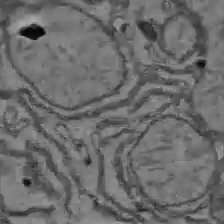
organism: C57BL Mouse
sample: Liver